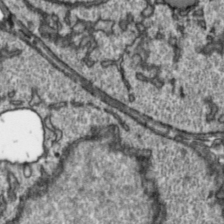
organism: Toxoplasma gondii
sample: Parasites in a vacuole inside a host cell